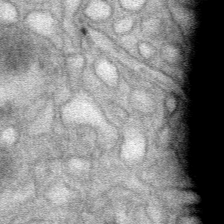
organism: Mouse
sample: Mouse Salivary gland